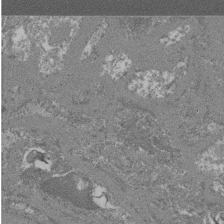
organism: Mouse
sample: Glomerulus